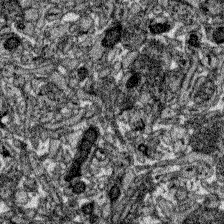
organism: Zebrafish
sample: Larval olfactory bulb